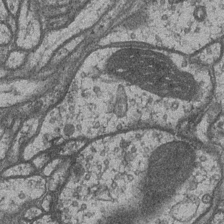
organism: Drosophila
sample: Optic medulla